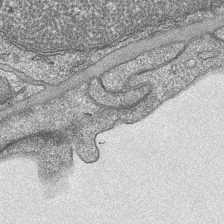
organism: Mouse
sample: CA1 Hippocampus